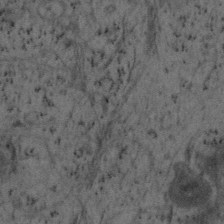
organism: Human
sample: HeLa cells